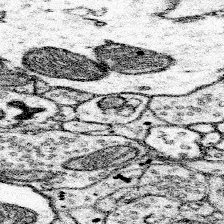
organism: Mouse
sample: Somatosensory cortex neuropil